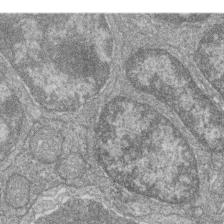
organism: Zebrafish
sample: Cilia; retinal pigment epithelium